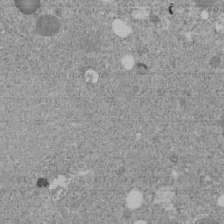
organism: C. elegans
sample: C. elegans embryo early stage